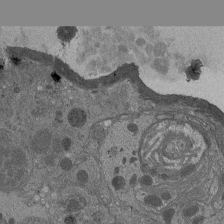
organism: Drosophila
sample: Antenna